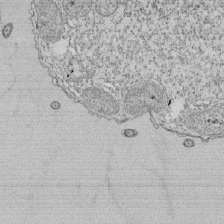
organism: Tetrahymena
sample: Cilia in tetrahymena